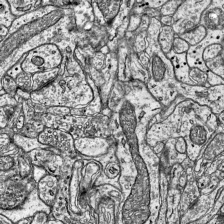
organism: Mouse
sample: Visual Cortex